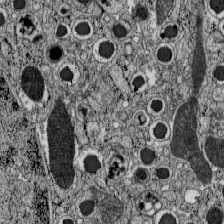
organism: C57BL Mouse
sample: Pancreatic islet